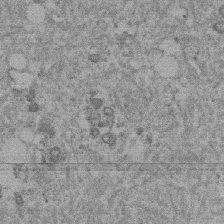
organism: Mouse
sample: Dividing mouse embryo 1 cell stage